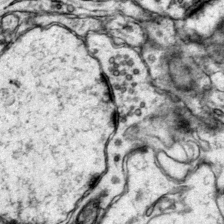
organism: Mouse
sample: Primary visual cortex